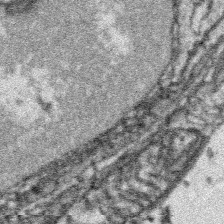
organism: Platynereis dumerilii